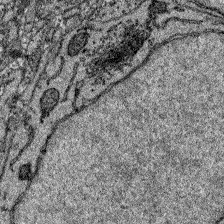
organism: Zebrafish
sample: Larval olfactory bulb